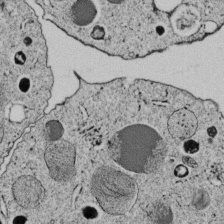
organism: C. elegans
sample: C. elegans embryo early stage